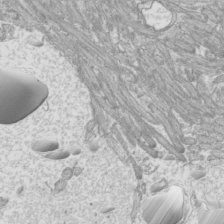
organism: Mouse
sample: Cilia; mouse epididymis